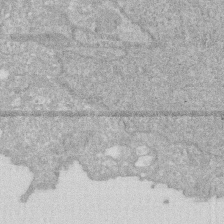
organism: Human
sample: HIV infected U937 cells